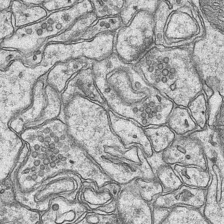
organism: Mouse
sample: CA1 Hippocampus